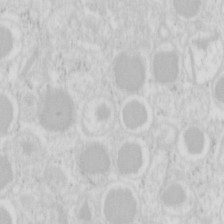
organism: Mouse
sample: Pancreas